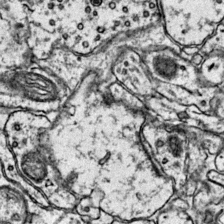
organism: Mouse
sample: Primary visual cortex